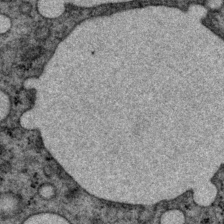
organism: P. pacificus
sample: Pharynx